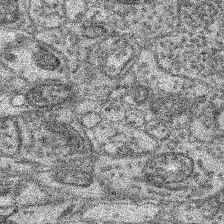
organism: Mouse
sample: Retina